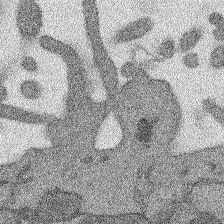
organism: Human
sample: HeLa cells